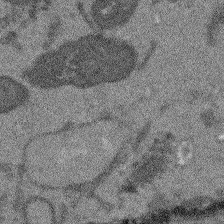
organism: Arabidopsis thaliana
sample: Root tip